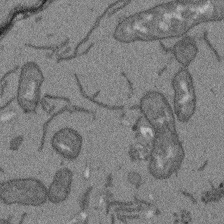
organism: Arabidopsis thaliana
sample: Root tip